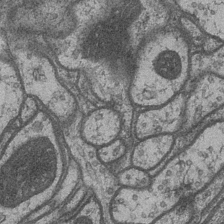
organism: Drosophila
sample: Optic medulla